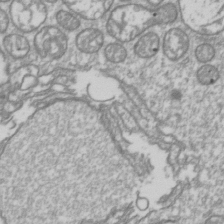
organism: Drosophila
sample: Cell division; meiosis; drosophila spermatocytes